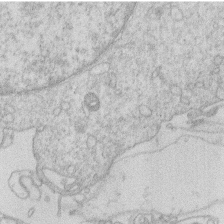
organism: Human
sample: Macrophage cells